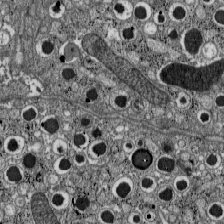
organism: C57BL Mouse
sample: Pancreatic islet